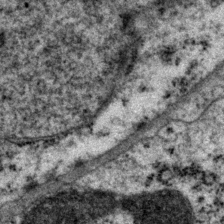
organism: P. pacificus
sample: Pharynx